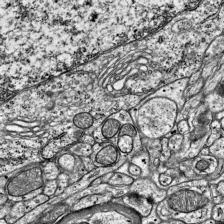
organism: Mouse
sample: Visual Cortex